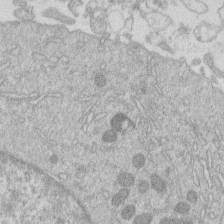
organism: Human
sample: Macrophage cells